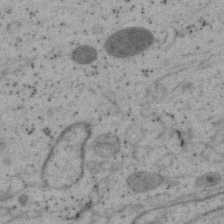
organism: Human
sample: HeLa cells